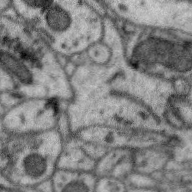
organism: Zebra finch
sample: Brain